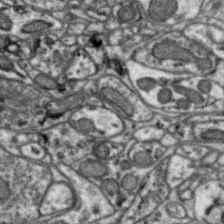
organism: Zebra finch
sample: Brain